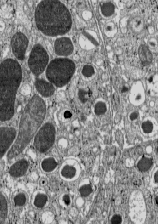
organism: C57BL Mouse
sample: Pancreatic islet